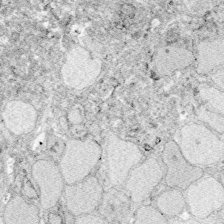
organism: Zebrafish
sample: Whole-Brain